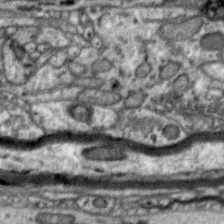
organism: Zebra finch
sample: Brain